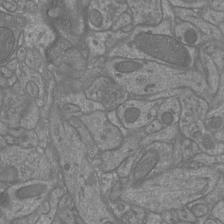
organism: Mouse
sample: Cortical neurons